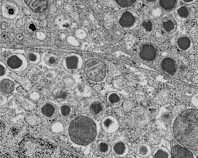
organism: C57BL Mouse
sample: Pancreatic islet